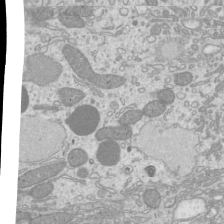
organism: Mouse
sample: Cilia; mouse epididymis